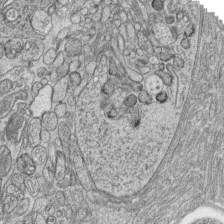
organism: Zebrafish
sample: synaptic ribbons in rod cells and cone cells